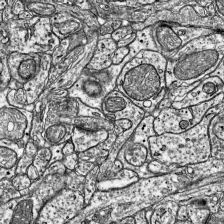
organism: Mouse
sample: Visual Cortex